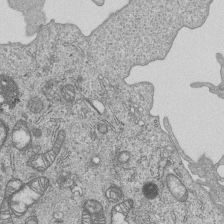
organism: Human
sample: MDA-MB-231 cells